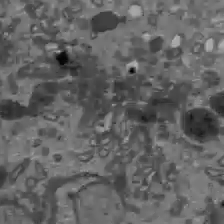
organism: C57BL Mouse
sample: Liver